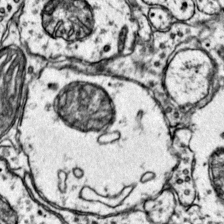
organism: Mouse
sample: Primary visual cortex